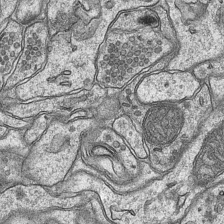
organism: Mouse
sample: CA1 Hippocampus